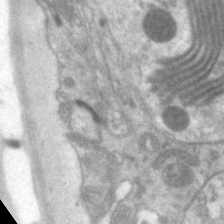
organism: C. elegans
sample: Pharynx